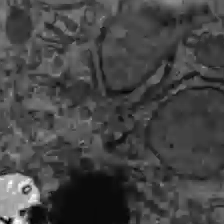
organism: C57BL Mouse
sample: Liver